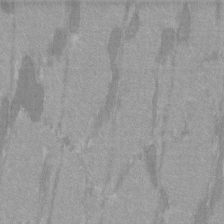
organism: C57BL Mouse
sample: Tibialis anterior muscle cell